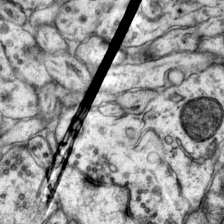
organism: Mouse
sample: Primary visual cortex